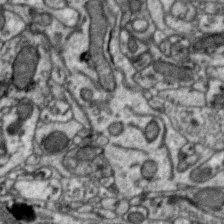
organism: Zebra finch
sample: Brain